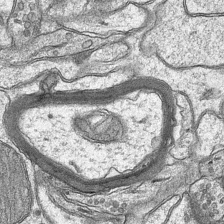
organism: Mouse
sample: CA1 Hippocampus